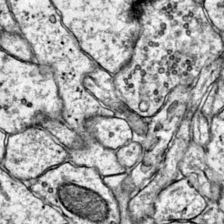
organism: Mouse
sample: Primary visual cortex